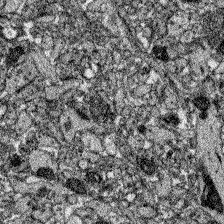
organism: Zebrafish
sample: Larval olfactory bulb